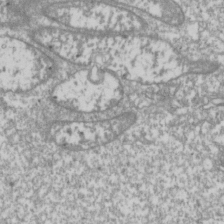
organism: Drosophila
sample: Cell division; meiosis; drosophila spermatocytes